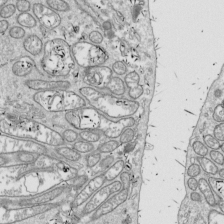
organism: Drosophila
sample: Cell division; meiosis; drosophila spermatocytes